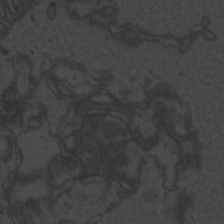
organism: Zebrafish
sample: Macrophage infected with Toxoplasma gondii